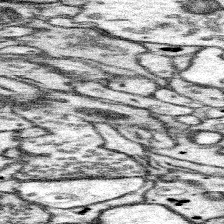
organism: Mouse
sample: Somatosensory cortex neuropil